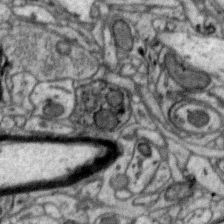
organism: Zebra finch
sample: Brain